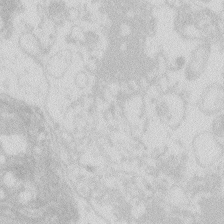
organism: Zebrafish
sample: Macrophage